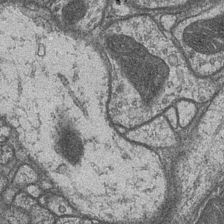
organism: Drosophila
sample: Optic medulla